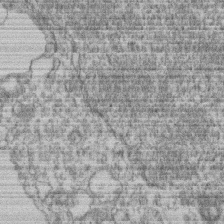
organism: Mouse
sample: T cell stromal cell synapse